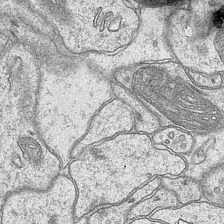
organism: Mouse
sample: CA1 Hippocampus